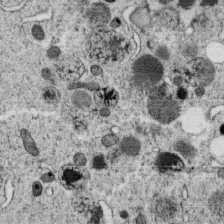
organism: C. elegans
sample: C. elegans oocyte; sperm cells